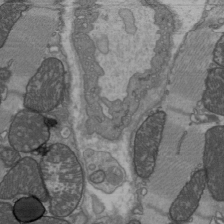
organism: C57BL Mouse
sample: Heart